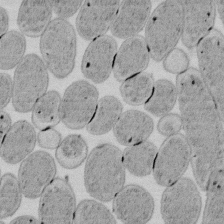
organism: E. coli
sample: Bacterial nucleoid